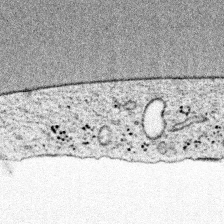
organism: Human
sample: HeLa cells